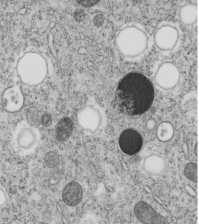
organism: C. elegans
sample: C. elegans embryo early stage